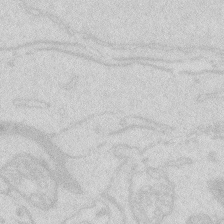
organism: Zebrafish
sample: Macrophage